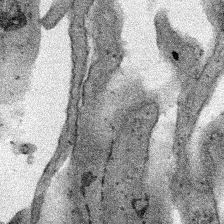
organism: Human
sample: Mitochondria in HCT116 cells